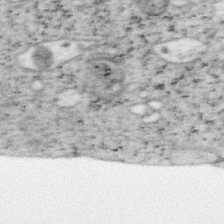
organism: Mouse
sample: OT-I killer T cells with ID8 ovarian cancer cells